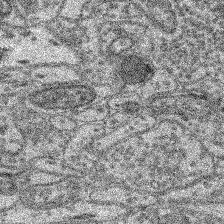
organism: Mouse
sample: Retina